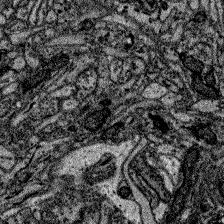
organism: Zebrafish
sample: Larval olfactory bulb